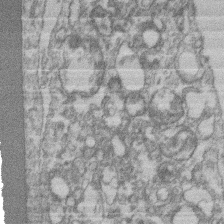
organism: Mouse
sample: T cell stromal cell synapse